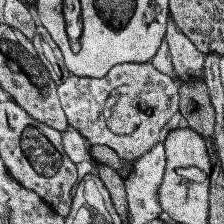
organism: Human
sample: Temporal Lobe